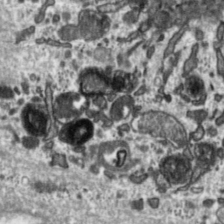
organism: Toxoplasma gondii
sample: Parasites in a vacuole inside a host cell